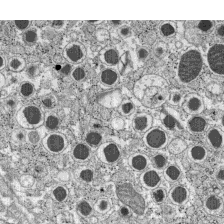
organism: C57BL Mouse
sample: Pancreatic islet